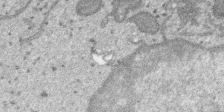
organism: Human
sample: Lung epithelial cells infected with SARS-CoV-2